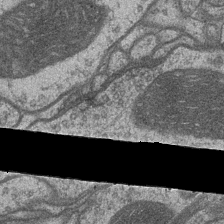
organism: Drosophila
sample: Optic medulla